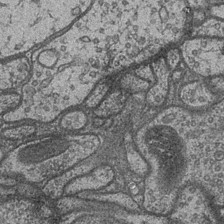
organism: Drosophila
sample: Optic medulla